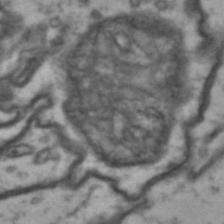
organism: Drosophila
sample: Brain